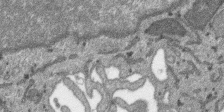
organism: Human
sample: Lung epithelial cells infected with SARS-CoV-2